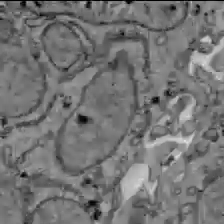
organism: C57BL Mouse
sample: Liver